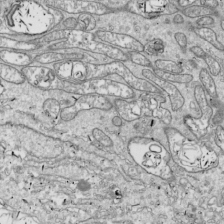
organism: Drosophila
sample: Cell division; meiosis; drosophila spermatocytes